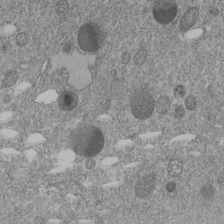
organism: C. elegans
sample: C. elegans embryo early stage